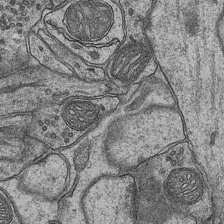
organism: Mouse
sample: CA1 Hippocampus